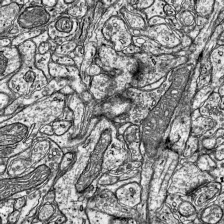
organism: Mouse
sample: Visual Cortex